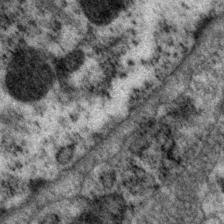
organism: P. pacificus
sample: Pharynx